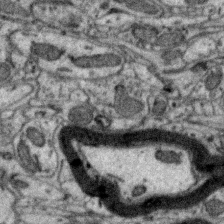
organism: Zebra finch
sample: Brain